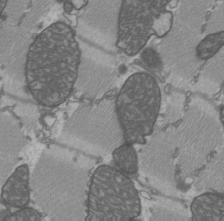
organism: C57BL Mouse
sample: Heart